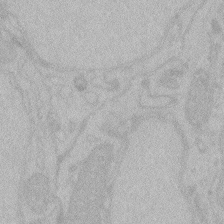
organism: Zebrafish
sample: Macrophage infected with Toxoplasma gondii